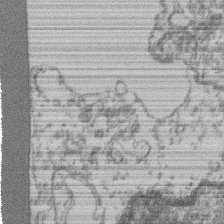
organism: Mouse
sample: T cell stromal cell synapse